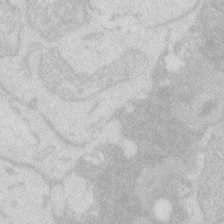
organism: Zebrafish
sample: Macrophage